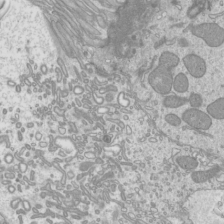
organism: Mouse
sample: Cilia; mouse epididymis